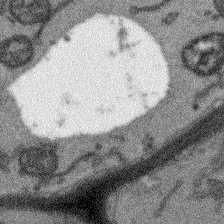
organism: Arabidopsis thaliana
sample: Root tip